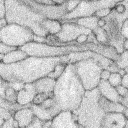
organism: Rabbit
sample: Retina